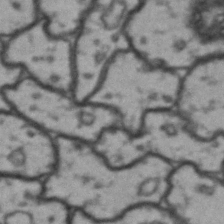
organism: Drosophila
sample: Brain